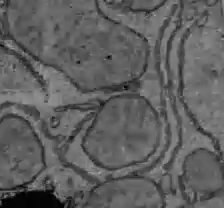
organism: C57BL Mouse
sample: Liver